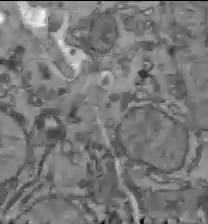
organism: C57BL Mouse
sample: Liver